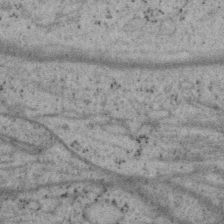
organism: Human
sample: HeLa cells